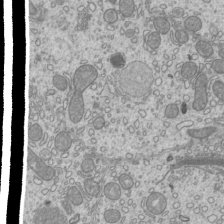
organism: Mouse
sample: Cilia; mouse epididymis